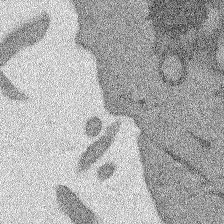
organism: Human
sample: HeLa cells